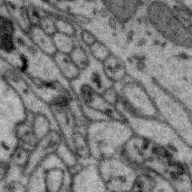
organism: Zebra finch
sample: Brain